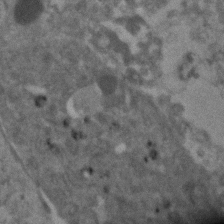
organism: Human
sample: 1205lu cells